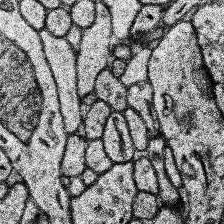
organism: Human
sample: Temporal Lobe